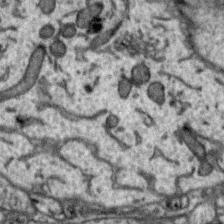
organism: Zebra finch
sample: Brain